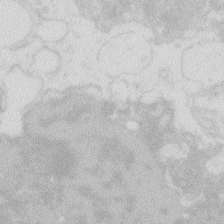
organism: Zebrafish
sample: Macrophage